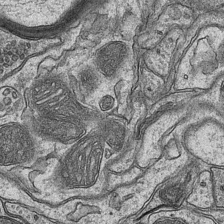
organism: Mouse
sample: CA1 Hippocampus